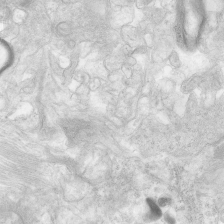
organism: Human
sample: Neocortex